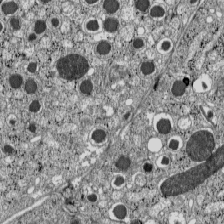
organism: C57BL Mouse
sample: Pancreatic islet